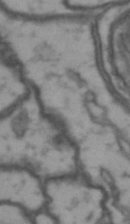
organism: Drosophila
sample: Brain